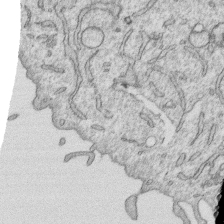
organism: Human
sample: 1205lu cells